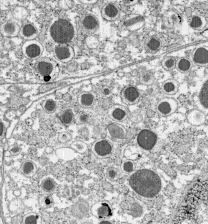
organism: C57BL Mouse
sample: Pancreatic islet